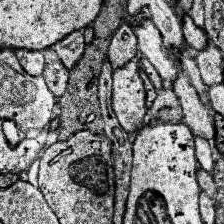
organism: Human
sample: Temporal Lobe